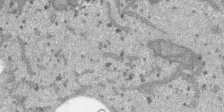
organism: Human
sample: Lung epithelial cells infected with SARS-CoV-2